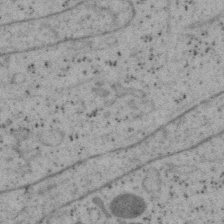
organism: Human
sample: HeLa cells